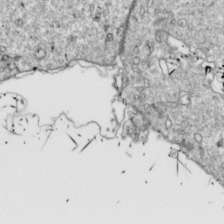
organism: Drosophila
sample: Cell division; meiosis; drosophila spermatocytes